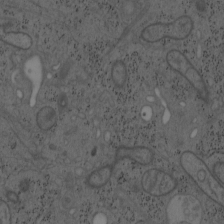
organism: Mouse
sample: OT-I killer T cells with ID8 ovarian cancer cells